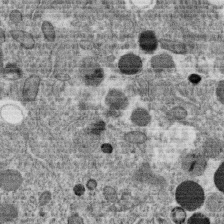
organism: C. elegans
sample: C. elegans oocyte; sperm cells